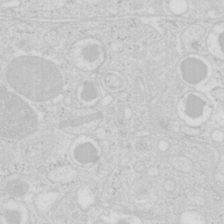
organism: Mouse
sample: Pancreas